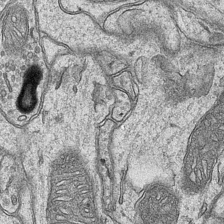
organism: Mouse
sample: CA1 Hippocampus